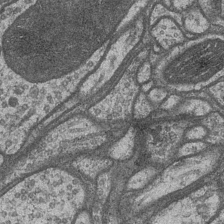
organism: Drosophila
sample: Optic medulla